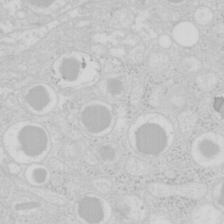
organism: Mouse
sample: Pancreas